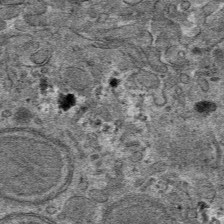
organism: Mouse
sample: Mouse hepatocytes